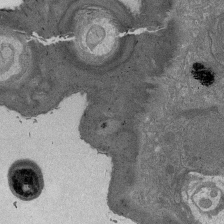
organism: Drosophila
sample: Antenna